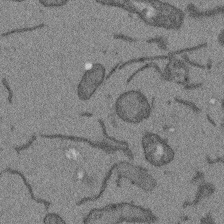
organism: Arabidopsis thaliana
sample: Root tip